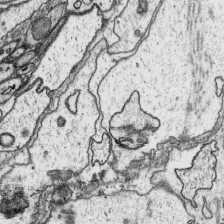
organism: Platynereis dumerilii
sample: Parapodia